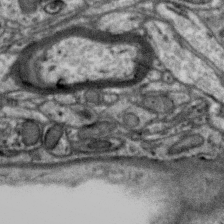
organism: Zebra finch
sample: Brain